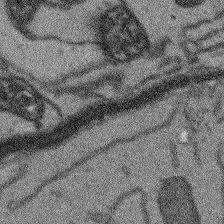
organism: Arabidopsis thaliana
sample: Root tip